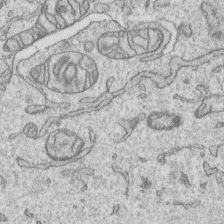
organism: Human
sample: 1205lu cells